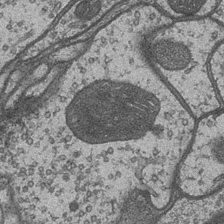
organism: Drosophila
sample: Optic medulla